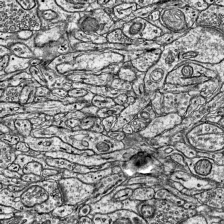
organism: Mouse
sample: Visual Cortex